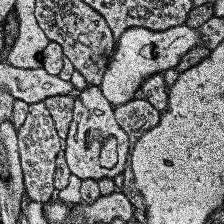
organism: Human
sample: Temporal Lobe